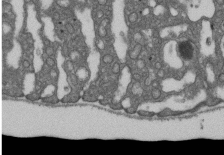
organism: Drosophila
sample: Nephrocyte